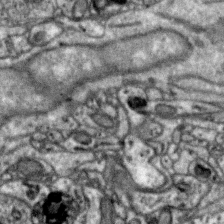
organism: Zebra finch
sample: Brain